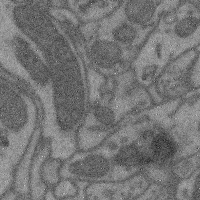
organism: Mouse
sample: Cerebral cortex